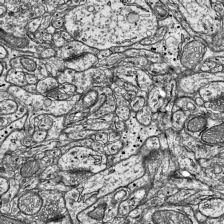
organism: Mouse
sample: Visual Cortex